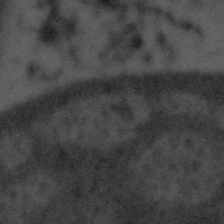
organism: Tuwongella immobilis